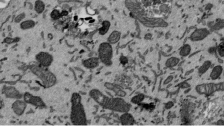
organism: Mouse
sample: ED-1 cell nuclei; centrioles